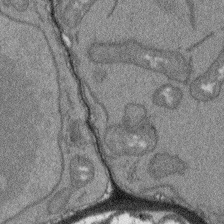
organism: Arabidopsis thaliana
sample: Root tip